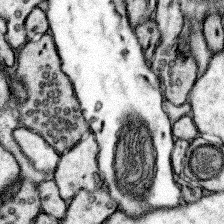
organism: Mouse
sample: Somatosensory cortex neuropil